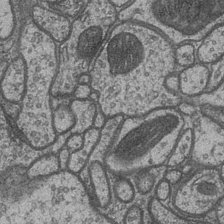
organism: Drosophila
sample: Optic medulla